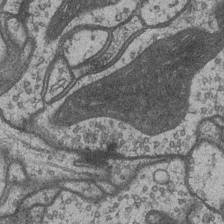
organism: Drosophila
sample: Optic medulla